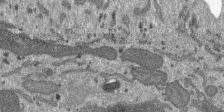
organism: Human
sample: Lung epithelial cells infected with SARS-CoV-2